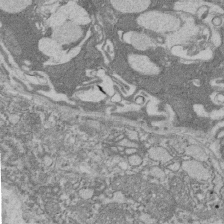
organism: Rat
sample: Salivary granule